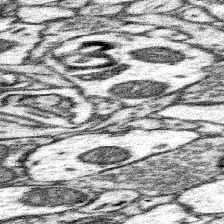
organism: Mouse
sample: Somatosensory cortex neuropil